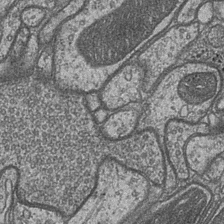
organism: Drosophila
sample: Optic medulla